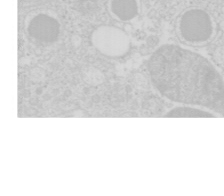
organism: Mouse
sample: Pancreas